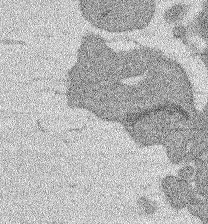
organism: Human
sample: HeLa cells